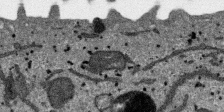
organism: Human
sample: Lung epithelial cells, uninfected (mock) control